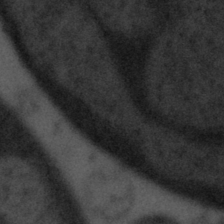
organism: Tuwongella immobilis